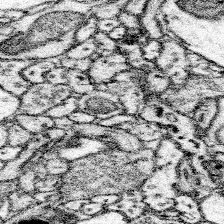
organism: Mouse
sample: Somatosensory cortex neuropil